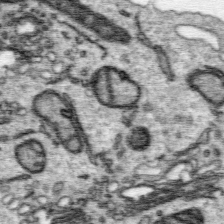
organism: Human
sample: HeLa cells